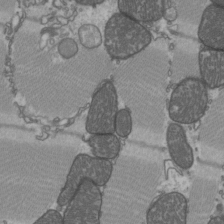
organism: C57BL Mouse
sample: Heart